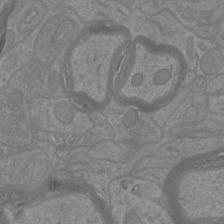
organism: Mouse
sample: Cortical neurons